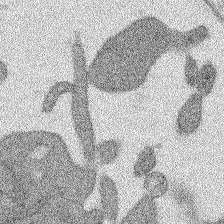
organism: Human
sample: HeLa cells